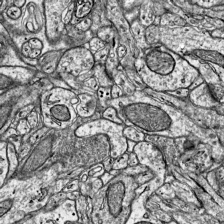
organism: Mouse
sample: Visual Cortex